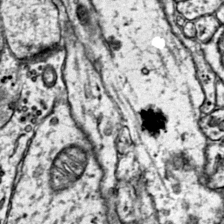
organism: Mouse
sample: Primary visual cortex